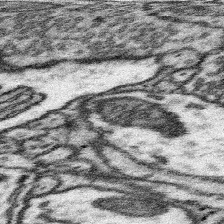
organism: Mouse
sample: Somatosensory cortex neuropil